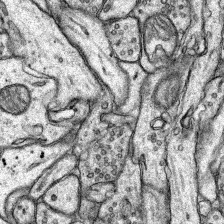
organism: Rat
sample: Hippocampus